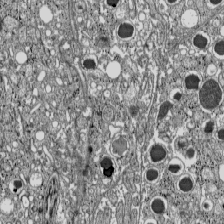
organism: C57BL Mouse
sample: Pancreatic islet